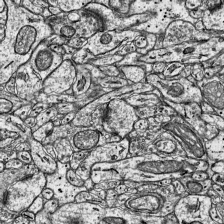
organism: Mouse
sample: Visual Cortex